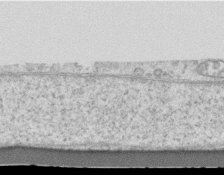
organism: Mouse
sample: Centriole in ependymal cells